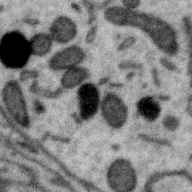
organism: Zebra finch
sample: Brain